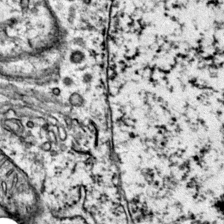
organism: Mouse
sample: Primary visual cortex